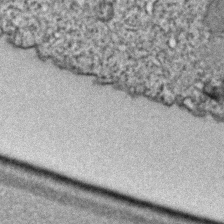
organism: C. elegans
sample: C. elegans embryo